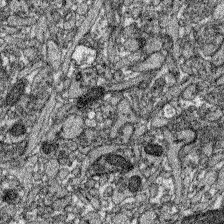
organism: Zebrafish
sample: Larval olfactory bulb